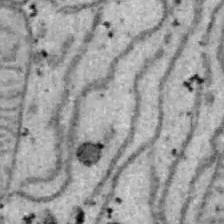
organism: Mouse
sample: Liver from an obese (ob/ob) mouse